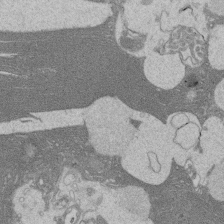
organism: Rat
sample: Salivary granule